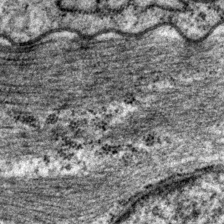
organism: P. pacificus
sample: Pharynx